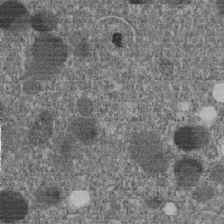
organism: C. elegans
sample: C. elegans embryo early stage